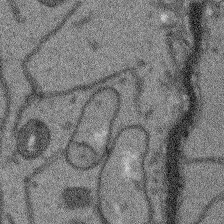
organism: Arabidopsis thaliana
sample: Root tip